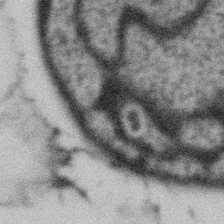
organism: Gemmata obscuriglobus